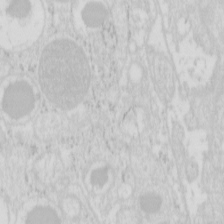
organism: Mouse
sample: Pancreas